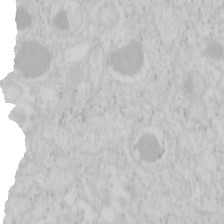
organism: Mouse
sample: Pancreas